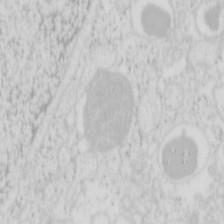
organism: Mouse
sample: Pancreas